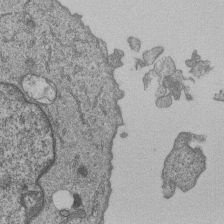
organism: Human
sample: MDA-MB-231 cells